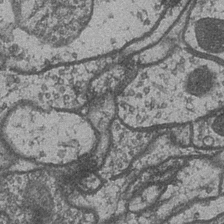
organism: Drosophila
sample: Optic medulla